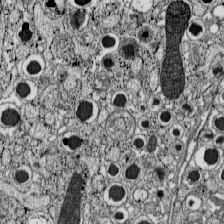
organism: C57BL Mouse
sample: Pancreatic islet